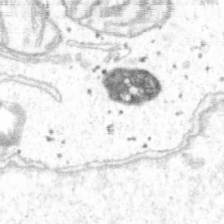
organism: Human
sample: HeLa cells